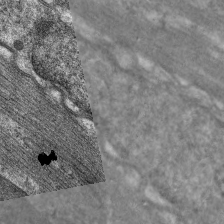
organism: C. elegans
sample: Pharynx